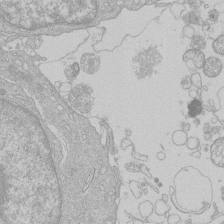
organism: Human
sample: Macrophage cells